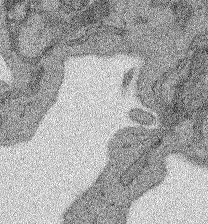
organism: Human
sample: HeLa cells